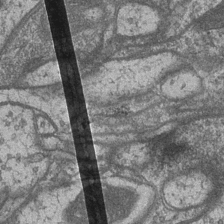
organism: Drosophila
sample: Optic medulla